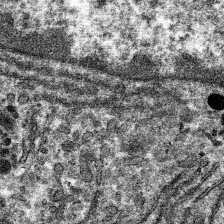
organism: Mouse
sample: Mouse hepatocytes